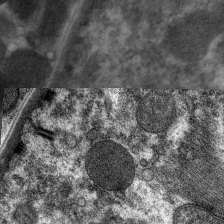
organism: C. elegans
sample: Pharynx